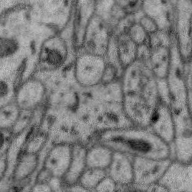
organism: Zebra finch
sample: Brain